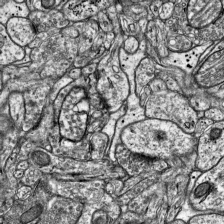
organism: Mouse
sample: Visual Cortex